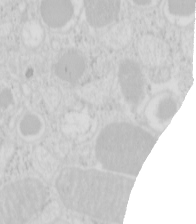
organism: Mouse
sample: Pancreas